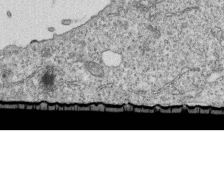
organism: Human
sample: HeLa cell HIV synapse